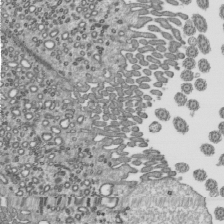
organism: Mouse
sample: Mouse epididymis efferent ductule cilia